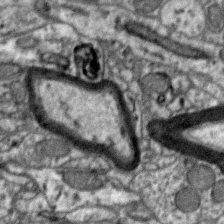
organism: Zebra finch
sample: Brain